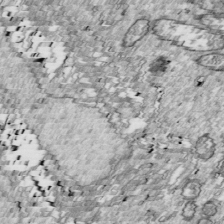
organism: Drosophila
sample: Cell division; meiosis; drosophila spermatocytes